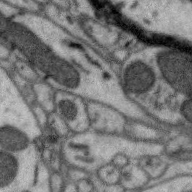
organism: Zebra finch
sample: Brain